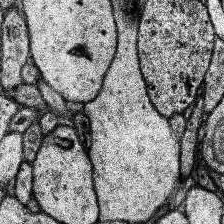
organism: Human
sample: Temporal Lobe